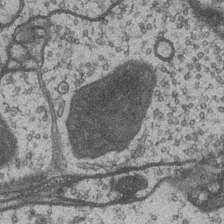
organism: Drosophila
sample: Optic medulla